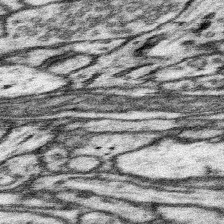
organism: Mouse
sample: Somatosensory cortex neuropil